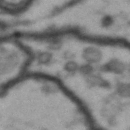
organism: Drosophila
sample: Brain